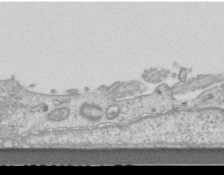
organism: Mouse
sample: Centriole in ependymal cells